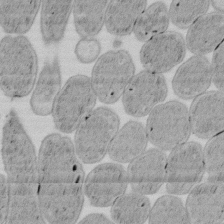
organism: E. coli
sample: Bacterial nucleoid